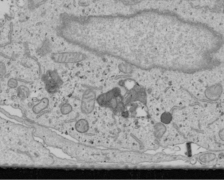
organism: Human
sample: Mitochondria in U2OS cells